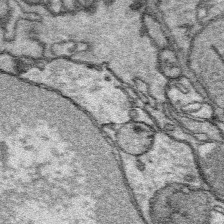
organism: Platynereis dumerilii